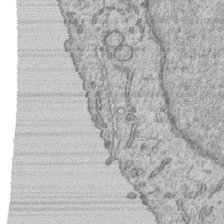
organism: Human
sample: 1205lu cells